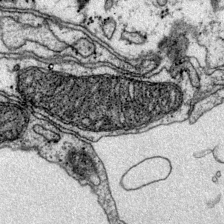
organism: Mouse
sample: Primary visual cortex